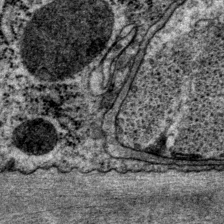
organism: P. pacificus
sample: Pharynx